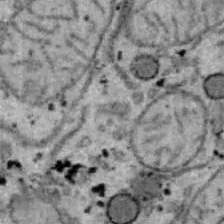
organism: Mouse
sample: Liver from an obese (ob/ob) mouse